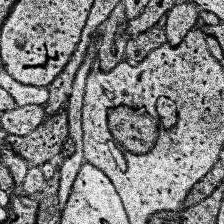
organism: Human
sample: Temporal Lobe